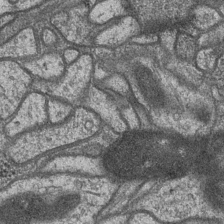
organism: Drosophila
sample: Optic medulla